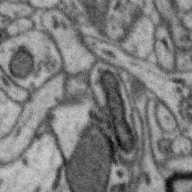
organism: Zebra finch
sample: Brain